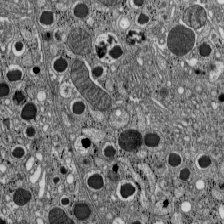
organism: C57BL Mouse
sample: Pancreatic islet